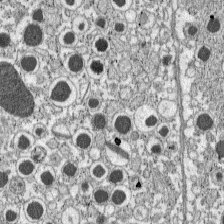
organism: C57BL Mouse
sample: Pancreatic islet